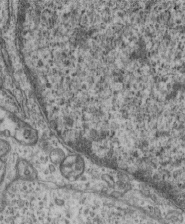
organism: Mouse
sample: Centriole in ependymal cells